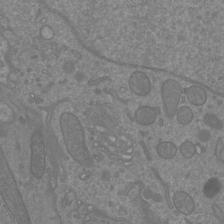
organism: Mouse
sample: Cortical neurons